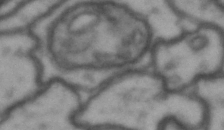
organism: Drosophila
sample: Brain